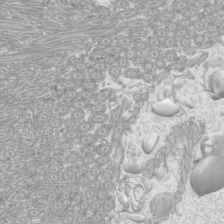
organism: Mouse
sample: Cilia; mouse epididymis